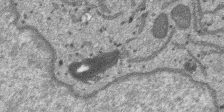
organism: Human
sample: Lung epithelial cells infected with SARS-CoV-2